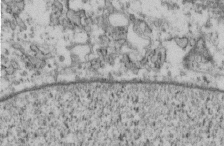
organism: Mouse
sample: Cilia; retinal pigment epithelium